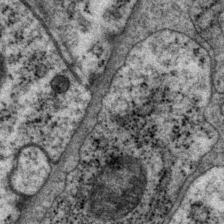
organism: P. pacificus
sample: Pharynx